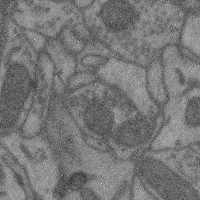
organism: Mouse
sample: Cerebral cortex